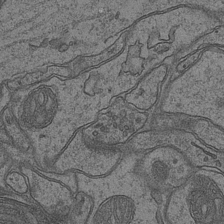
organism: Mouse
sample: CA1 Hippocampus